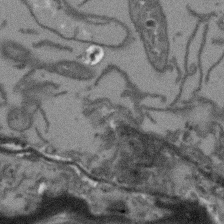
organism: Arabidopsis thaliana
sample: Root tip